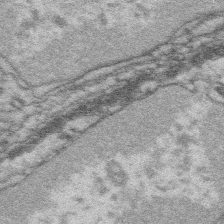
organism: Platynereis dumerilii